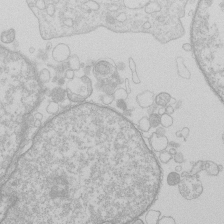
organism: Human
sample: Macrophage cells